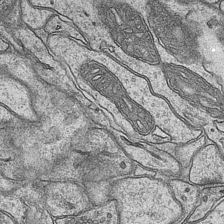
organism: Mouse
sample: CA1 Hippocampus